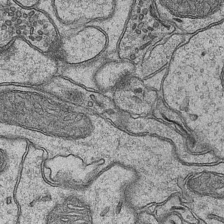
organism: Mouse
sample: CA1 Hippocampus